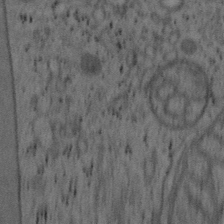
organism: Human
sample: HeLa cells